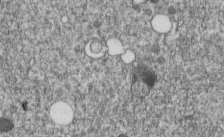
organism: C. elegans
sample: C. elegans embryo early stage